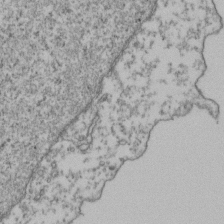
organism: Human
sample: Activated Jurkat CD4+ T cells